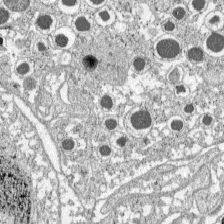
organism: C57BL Mouse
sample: Pancreatic islet